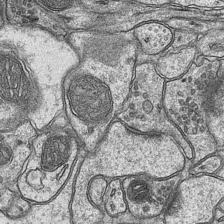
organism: Mouse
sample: CA1 Hippocampus